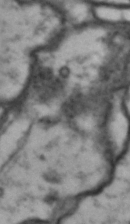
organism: Drosophila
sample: Brain